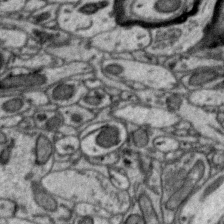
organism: Zebra finch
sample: Brain